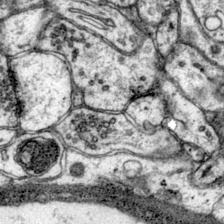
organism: Mouse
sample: Primary visual cortex